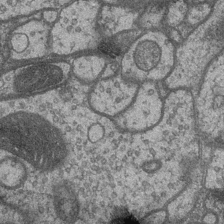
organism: Drosophila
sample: Optic medulla